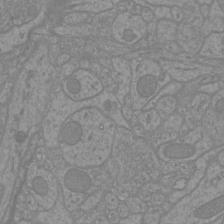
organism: Mouse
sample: Cortical neurons